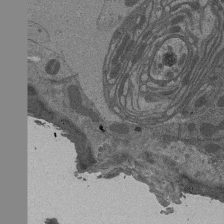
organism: Drosophila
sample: Antenna